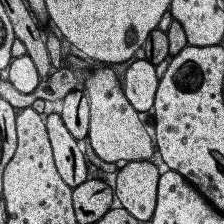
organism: Human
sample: Temporal Lobe